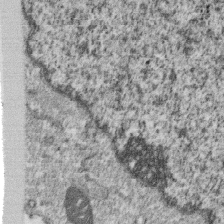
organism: African green monkey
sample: Vero E6 cells infected with SARS-CoV-2